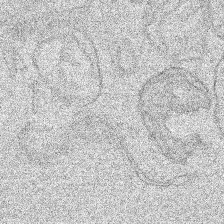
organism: Human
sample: Mitochondria in HCT116 cells